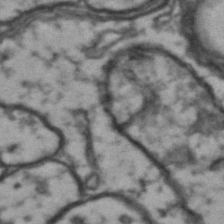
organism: Drosophila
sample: Brain